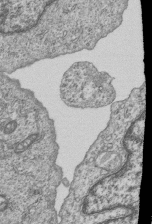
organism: Human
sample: MDA-MB-231 cells